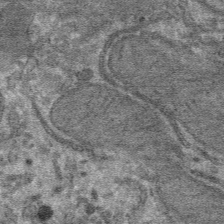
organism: Mouse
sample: Mouse hepatocytes